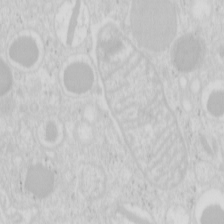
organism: Mouse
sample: Pancreas